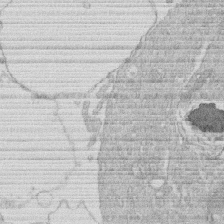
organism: Human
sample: Macrophage cells